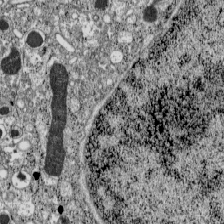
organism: C57BL Mouse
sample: Pancreatic islet